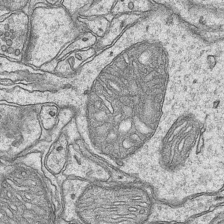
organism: Mouse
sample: CA1 Hippocampus